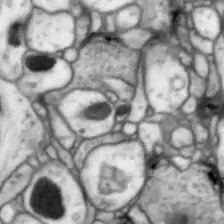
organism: Drosophila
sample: Optic lobe